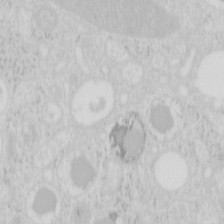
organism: Mouse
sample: Pancreas